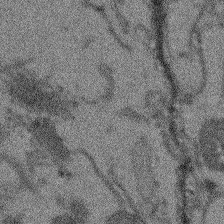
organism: Arabidopsis thaliana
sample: Root tip